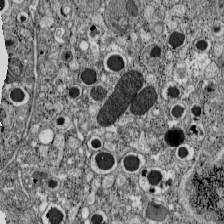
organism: C57BL Mouse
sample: Pancreatic islet